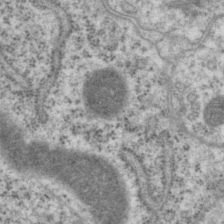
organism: P. pacificus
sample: Pharynx